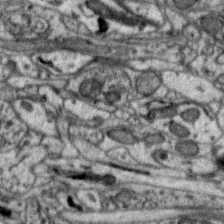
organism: Zebra finch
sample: Brain